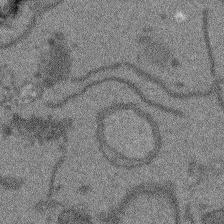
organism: Arabidopsis thaliana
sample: Root tip